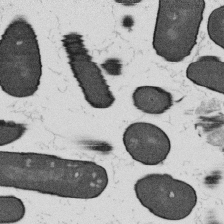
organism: B. subtilis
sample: Bacterial spore